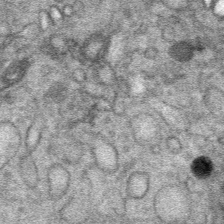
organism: Mouse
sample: Mouse Salivary gland